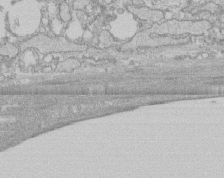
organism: Human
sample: CRL-1474